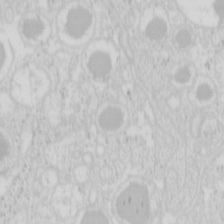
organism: Mouse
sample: Pancreas